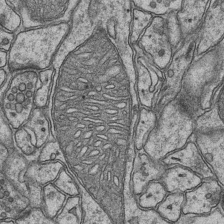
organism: Mouse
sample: CA1 Hippocampus